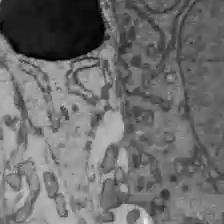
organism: C57BL Mouse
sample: Liver